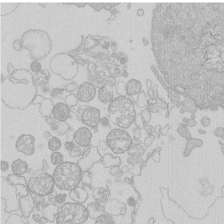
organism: Human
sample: Macrophage cells